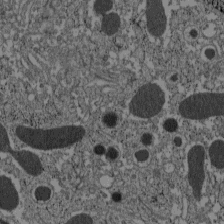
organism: C57BL Mouse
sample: Pancreatic islet